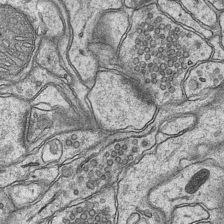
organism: Mouse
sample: CA1 Hippocampus